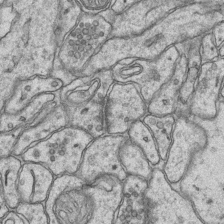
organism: Mouse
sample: CA1 Hippocampus